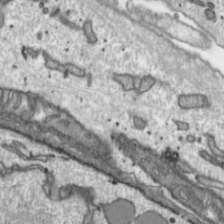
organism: Toxoplasma gondii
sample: Parasites in a vacuole inside a host cell